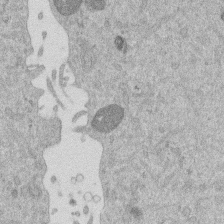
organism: Mouse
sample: Dividing mouse embryo 1 cell stage